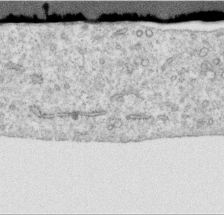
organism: Human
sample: Centriole in RPE cells